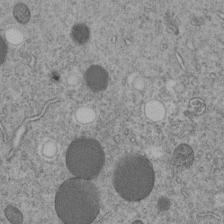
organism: C. elegans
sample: C. elegans embryo early stage